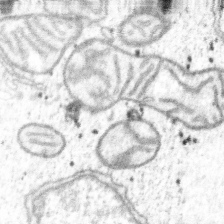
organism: Human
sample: HeLa cells